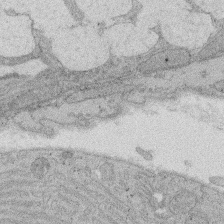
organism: Rat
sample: Salivary granule